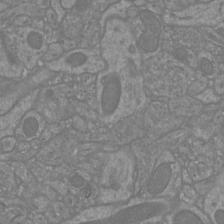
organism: Mouse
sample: Cortical neurons